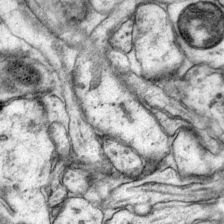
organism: Mouse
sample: Primary visual cortex